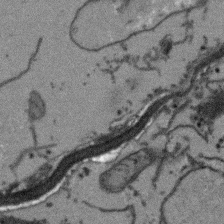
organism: Arabidopsis thaliana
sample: Root tip